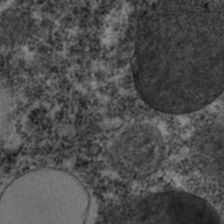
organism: C. elegans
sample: C. elegans embryo